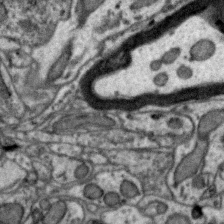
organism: Zebra finch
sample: Brain